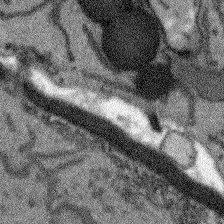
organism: Arabidopsis thaliana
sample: Root tip